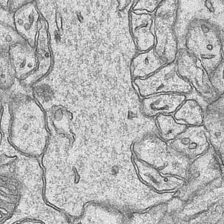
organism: Mouse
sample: CA1 Hippocampus